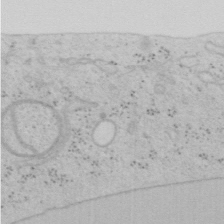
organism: Human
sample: HeLa cells